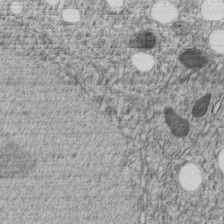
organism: C. elegans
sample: C. elegans embryo early stage